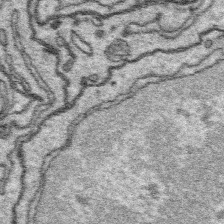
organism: Platynereis dumerilii